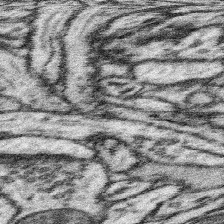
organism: Mouse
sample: Somatosensory cortex neuropil